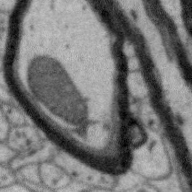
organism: Zebra finch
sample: Brain